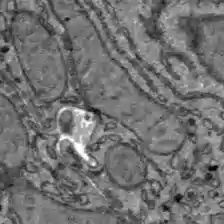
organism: C57BL Mouse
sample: Liver